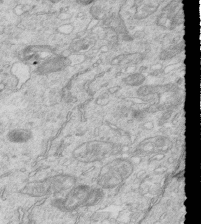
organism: Mouse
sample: Multiciliated cells